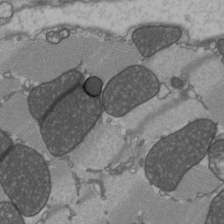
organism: C57BL Mouse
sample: Heart